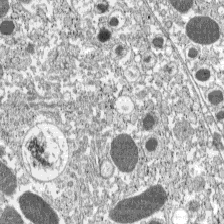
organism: C57BL Mouse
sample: Pancreatic islet